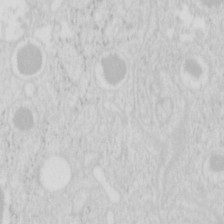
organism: Mouse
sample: Pancreas